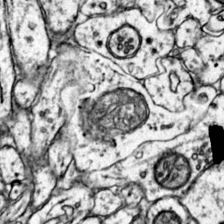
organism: Mouse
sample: Primary visual cortex